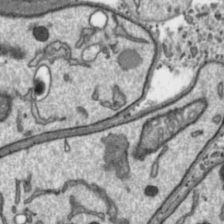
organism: Toxoplasma gondii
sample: Parasites in a vacuole inside a host cell